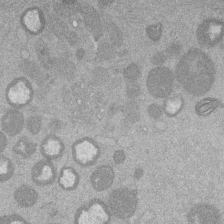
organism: Mouse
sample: Dividing mouse embryo 1 cell stage